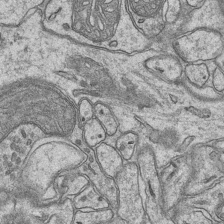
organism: Mouse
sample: CA1 Hippocampus